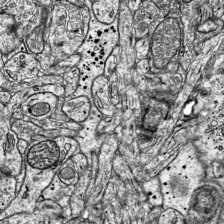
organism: Mouse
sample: Visual Cortex